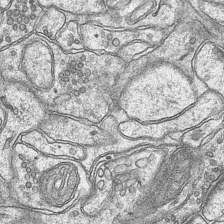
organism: Mouse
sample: CA1 Hippocampus